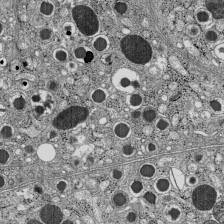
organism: C57BL Mouse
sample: Pancreatic islet